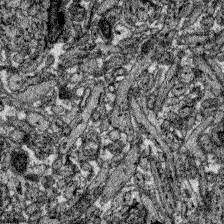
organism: Zebrafish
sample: Larval olfactory bulb